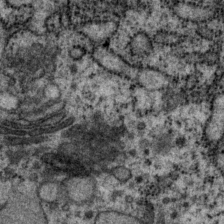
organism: P. pacificus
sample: Pharynx